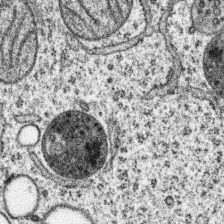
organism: Human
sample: HeLa cells